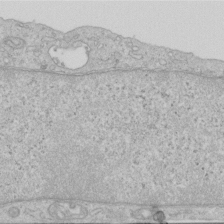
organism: Human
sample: Centriole in RPE cells